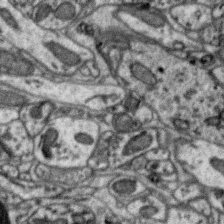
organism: Zebra finch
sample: Brain